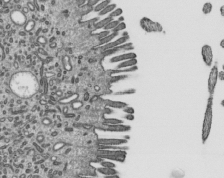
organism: Mouse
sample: Mouse epididymis efferent ductule cilia